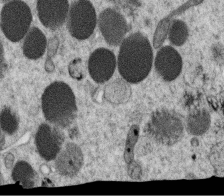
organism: C. elegans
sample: C. elegans oocyte; sperm cells